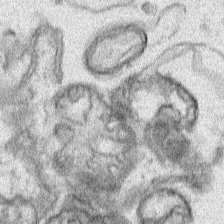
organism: Human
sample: Mitochondria in HCT116 cells